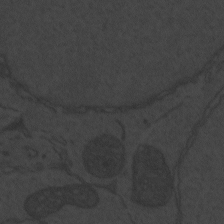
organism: Zebrafish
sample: Macrophage infected with Toxoplasma gondii